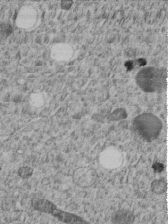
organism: C. elegans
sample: C. elegans embryo early stage